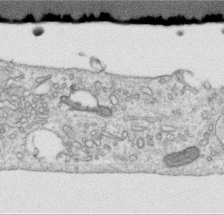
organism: Human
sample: Centriole in RPE cells